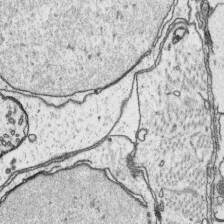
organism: Platynereis dumerilii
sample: Parapodia